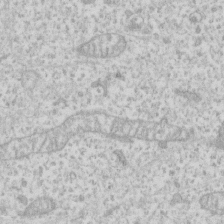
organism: Human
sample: Fibroblast cells